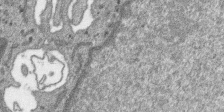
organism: Human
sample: Lung epithelial cells infected with SARS-CoV-2